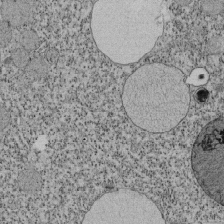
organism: Tetrahymena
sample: Cilia in tetrahymena